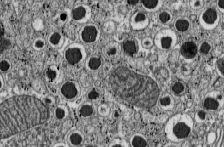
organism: C57BL Mouse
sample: Pancreatic islet